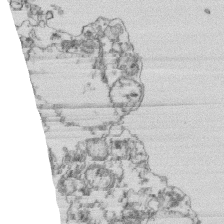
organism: Human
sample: HeLa cell HIV synapse